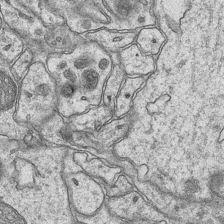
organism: Mouse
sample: CA1 Hippocampus